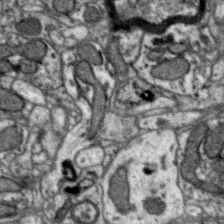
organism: Zebra finch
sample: Brain